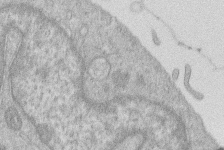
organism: Human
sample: Macrophage cells